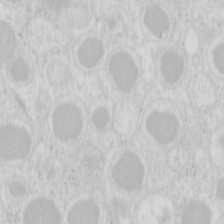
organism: Mouse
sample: Pancreas